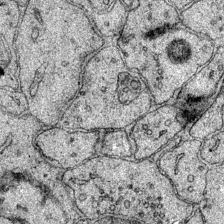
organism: Mouse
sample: Primary visual cortex